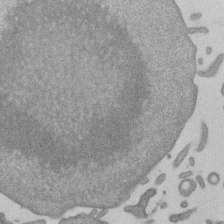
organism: Mouse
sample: Dividing mouse embryo 1 cell stage